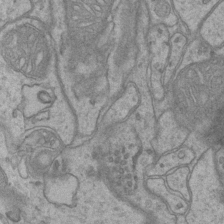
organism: Mouse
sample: CA1 Hippocampus